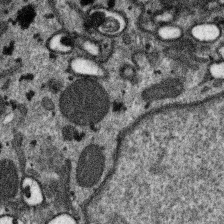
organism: Human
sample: Lung epithelial cells infected with SARS-CoV-2